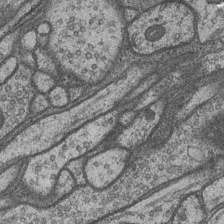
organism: Drosophila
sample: Optic medulla